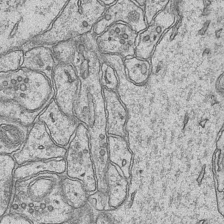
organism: Mouse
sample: CA1 Hippocampus